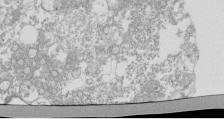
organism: Mouse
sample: Activated Pmel transgenic CD8+ T Cells